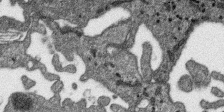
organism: Human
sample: Lung epithelial cells infected with SARS-CoV-2